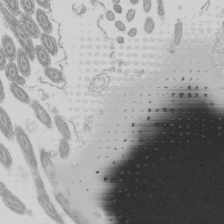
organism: Mouse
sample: Cilia; mouse epididymis